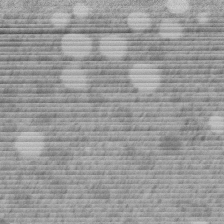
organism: C. elegans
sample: C. elegans embryo early stage